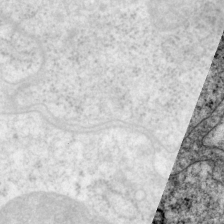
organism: P. pacificus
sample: Pharynx